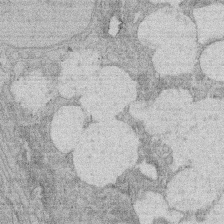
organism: Rat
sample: Salivary granule